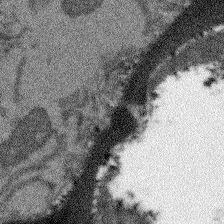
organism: Arabidopsis thaliana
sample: Root tip